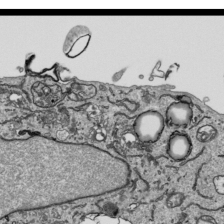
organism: Human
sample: Mitochondria in HCT116 cells